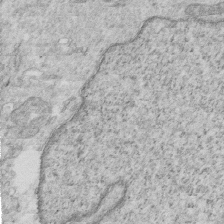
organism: Mouse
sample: Multiciliated cells